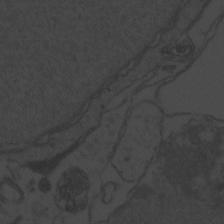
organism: Zebrafish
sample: Macrophage infected with Toxoplasma gondii